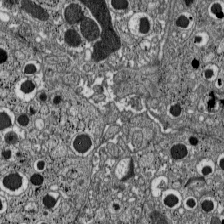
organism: C57BL Mouse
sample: Pancreatic islet